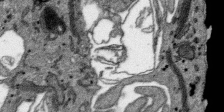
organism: Human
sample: Lung epithelial cells, uninfected (mock) control